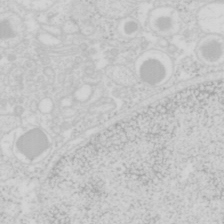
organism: Mouse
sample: Pancreas